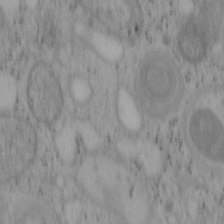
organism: Mouse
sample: OT-I killer T cells with ID8 ovarian cancer cells